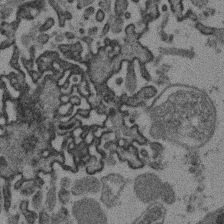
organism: Mouse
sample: Dividing mouse embryo 1 cell stage